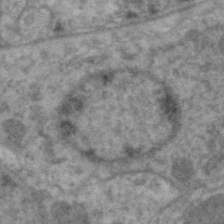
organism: C. elegans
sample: Pharynx